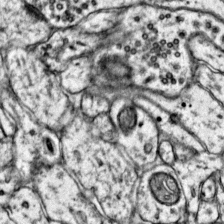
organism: Mouse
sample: Primary visual cortex